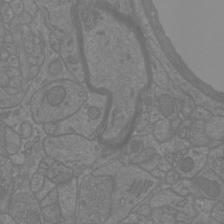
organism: Mouse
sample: Cortical neurons